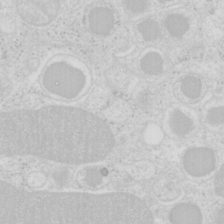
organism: Mouse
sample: Pancreas